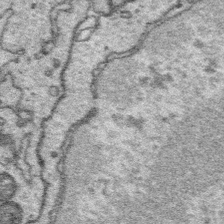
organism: Platynereis dumerilii